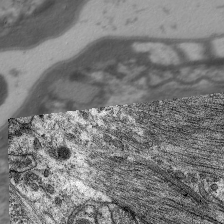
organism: C. elegans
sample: Pharynx